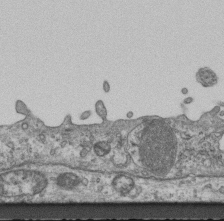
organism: Mouse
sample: Centriole in ependymal cells